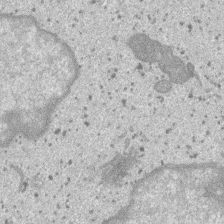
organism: Human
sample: Lung epithelial cells infected with SARS-CoV-2